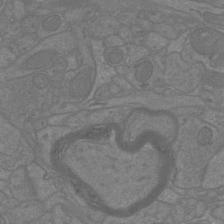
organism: Mouse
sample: Cortical neurons